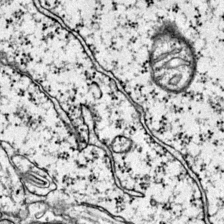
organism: Mouse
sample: Primary visual cortex